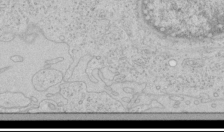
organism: Human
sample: Mitochondria in HCT116 cells